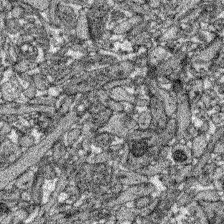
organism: Zebrafish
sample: Larval olfactory bulb